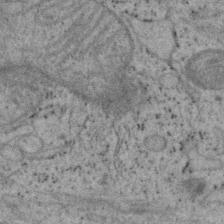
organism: Human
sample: HeLa cells